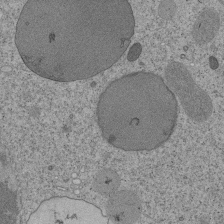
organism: Tetrahymena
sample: Cilia in tetrahymena